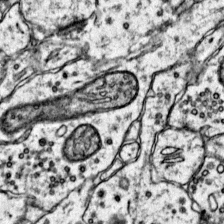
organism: Mouse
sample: Primary visual cortex